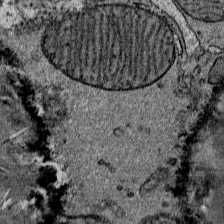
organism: Mouse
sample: Mouse Salivary gland